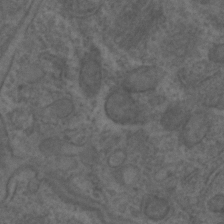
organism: C. elegans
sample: C. elegans embryo